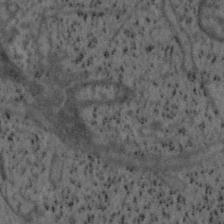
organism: Human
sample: HeLa cells